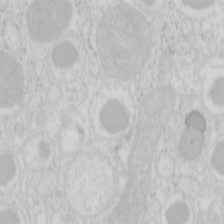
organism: Mouse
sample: Pancreas